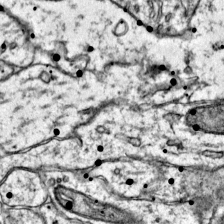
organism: Mouse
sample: Primary visual cortex